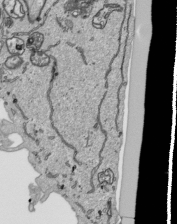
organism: Human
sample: Mitochondria in HCT116 cells